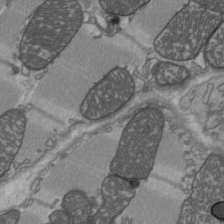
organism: C57BL Mouse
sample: Heart